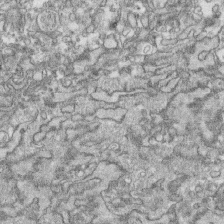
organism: Human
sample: CRL-1474